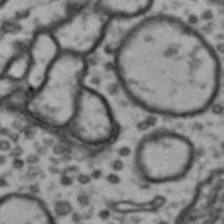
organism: Drosophila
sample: Brain